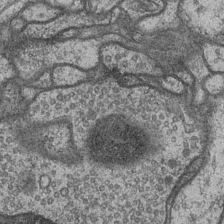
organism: Drosophila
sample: Optic medulla